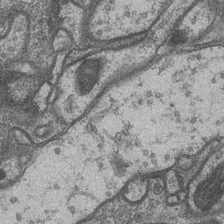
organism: Drosophila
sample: Optic medulla